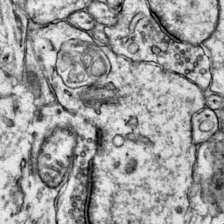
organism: Mouse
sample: Primary visual cortex